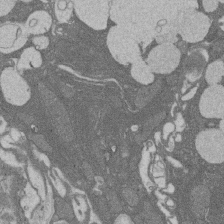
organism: Rat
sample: Salivary granule